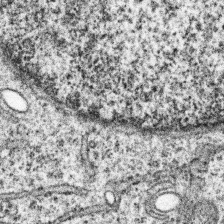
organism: Human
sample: HeLa cells